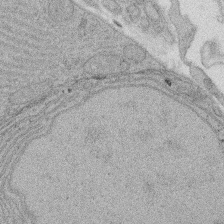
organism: Rat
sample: Salivary granule